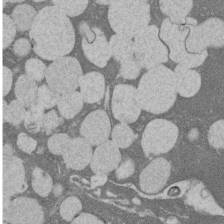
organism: Rat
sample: Salivary granule